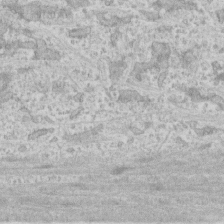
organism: Human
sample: CRL-1474